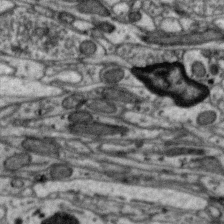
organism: Zebra finch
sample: Brain